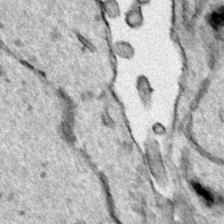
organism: Human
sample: Mitochondria in HCT116 cells